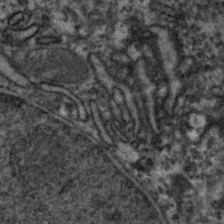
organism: Zebrafish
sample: Zebrafish embryo